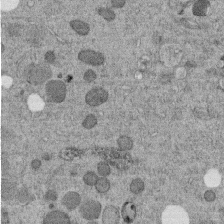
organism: C. elegans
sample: C. elegans embryo early stage